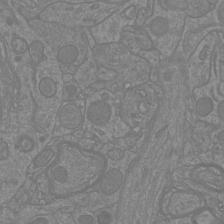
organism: Mouse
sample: Cortical neurons